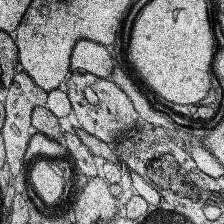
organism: Human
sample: Temporal Lobe